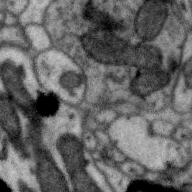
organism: Zebra finch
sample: Brain